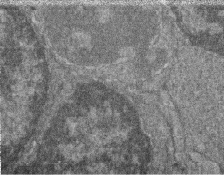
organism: Zebrafish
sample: Cilia; retinal pigment epithelium